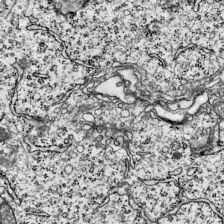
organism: Mouse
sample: Visual Cortex